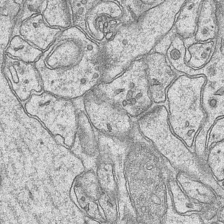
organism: Mouse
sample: CA1 Hippocampus